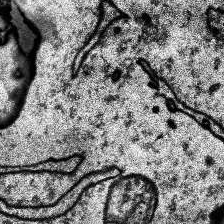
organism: Human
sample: Temporal Lobe